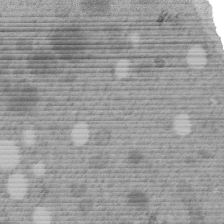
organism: C. elegans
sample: C. elegans embryo early stage